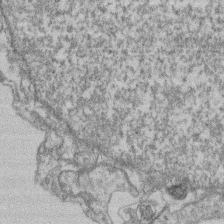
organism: Mouse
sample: T cell stromal cell synapse